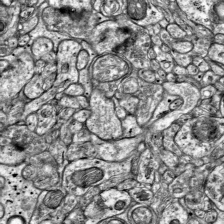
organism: Mouse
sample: Visual Cortex